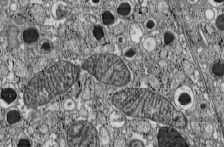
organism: C57BL Mouse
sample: Pancreatic islet